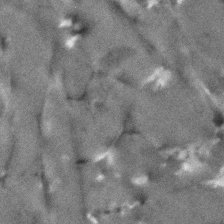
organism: Human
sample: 1205lu cells